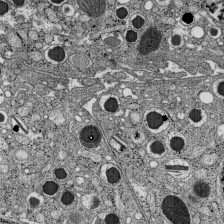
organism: C57BL Mouse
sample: Pancreatic islet